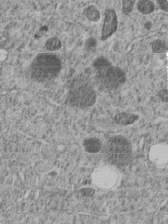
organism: C. elegans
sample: C. elegans embryo early stage